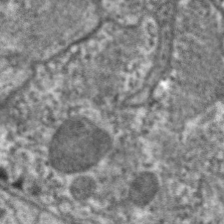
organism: C. elegans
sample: Pharynx